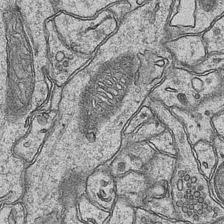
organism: Mouse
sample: CA1 Hippocampus